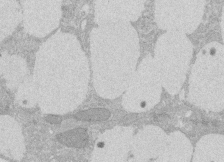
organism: Rat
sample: Salivary granule